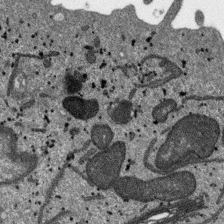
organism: Human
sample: Lung epithelial cells, uninfected (mock) control